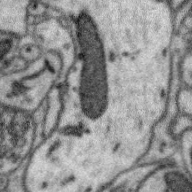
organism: Zebra finch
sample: Brain